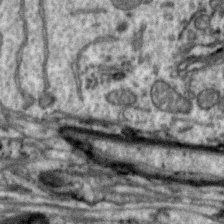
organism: Zebra finch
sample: Brain